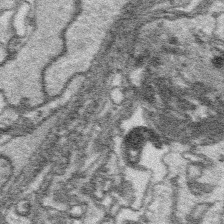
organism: Platynereis dumerilii